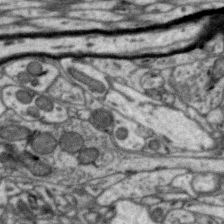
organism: Zebra finch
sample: Brain